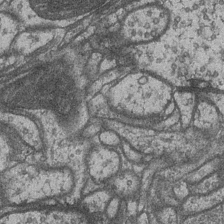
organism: Drosophila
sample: Optic medulla